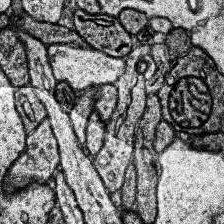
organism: Human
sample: Temporal Lobe